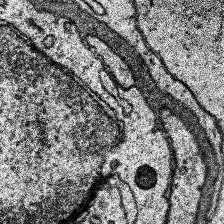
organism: Human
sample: Temporal Lobe